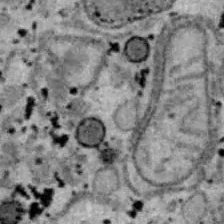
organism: Mouse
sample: Liver from an obese (ob/ob) mouse